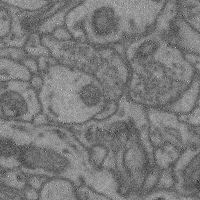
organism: Mouse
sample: Cerebral cortex